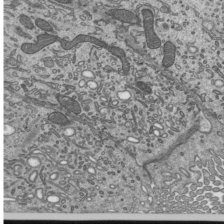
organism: Mouse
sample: Mouse epididymis efferent ductule cilia